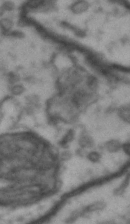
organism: Drosophila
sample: Brain